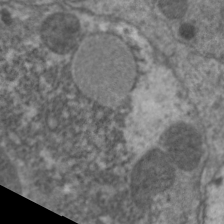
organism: C. elegans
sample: Pharynx